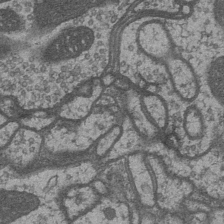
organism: Drosophila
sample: Optic medulla